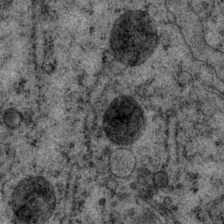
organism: P. pacificus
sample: Pharynx